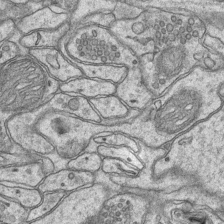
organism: Mouse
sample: CA1 Hippocampus